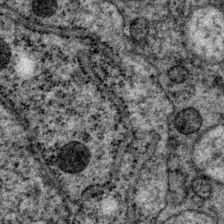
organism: P. pacificus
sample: Pharynx